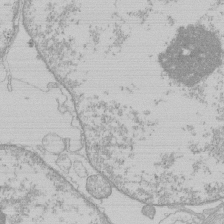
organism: Human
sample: Macrophage cells